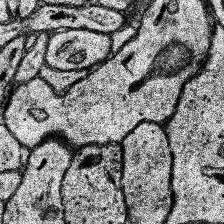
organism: Human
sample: Temporal Lobe